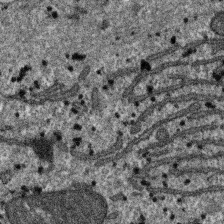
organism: Human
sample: Lung epithelial cells infected with SARS-CoV-2